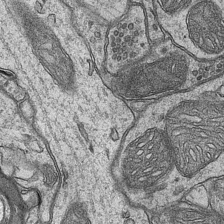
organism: Mouse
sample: CA1 Hippocampus